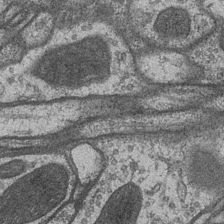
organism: Drosophila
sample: Optic medulla